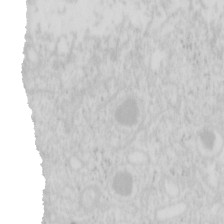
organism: Mouse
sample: Pancreas